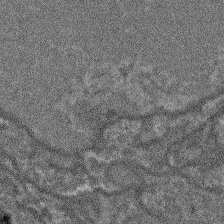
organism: Arabidopsis thaliana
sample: Root tip